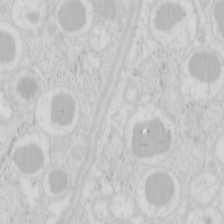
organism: Mouse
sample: Pancreas